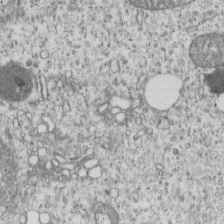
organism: Human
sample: MDA-MB-231 cells